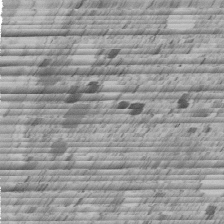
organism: C. elegans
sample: C. elegans embryo early stage